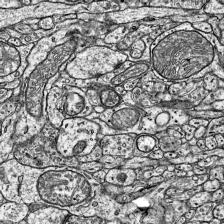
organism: Mouse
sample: Visual Cortex